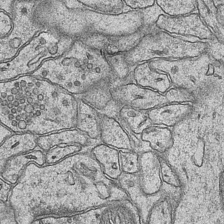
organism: Mouse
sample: CA1 Hippocampus